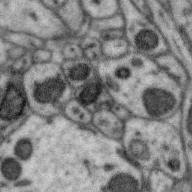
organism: Zebra finch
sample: Brain